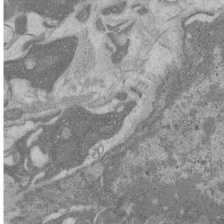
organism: Rat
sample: Salivary granule